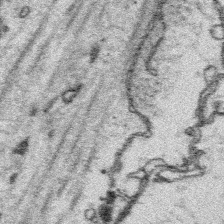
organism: Platynereis dumerilii